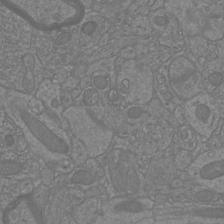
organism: Mouse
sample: Cortical neurons